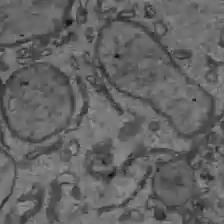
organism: C57BL Mouse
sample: Liver